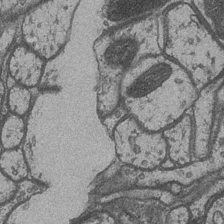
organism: Drosophila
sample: Optic medulla